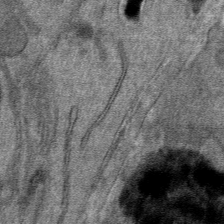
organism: Mouse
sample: Mouse hepatocytes